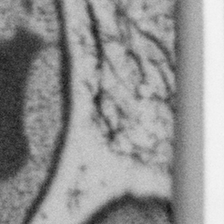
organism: Gemmata obscuriglobus